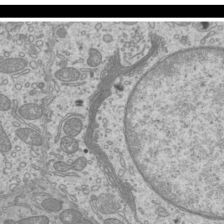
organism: Mouse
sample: Cilia; mouse epididymis